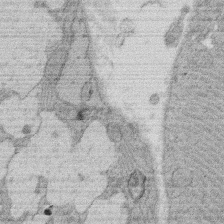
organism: Rat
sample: Salivary granule